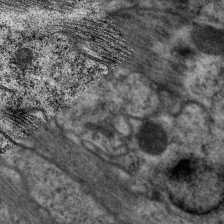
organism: C. elegans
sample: Pharynx